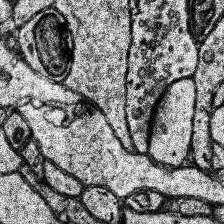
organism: Human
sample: Temporal Lobe